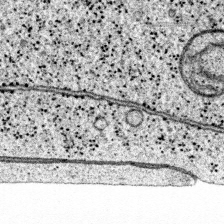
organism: Human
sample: HeLa cells